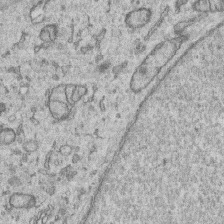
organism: Human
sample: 1205lu cells